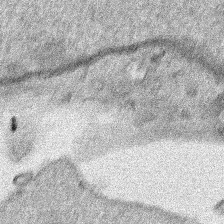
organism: Human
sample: Mitochondria in HCT116 cells